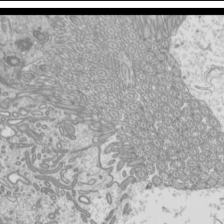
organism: Mouse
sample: Cilia; mouse epididymis